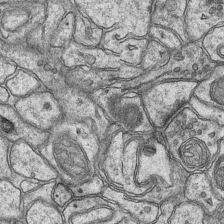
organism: Mouse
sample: CA1 Hippocampus